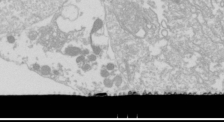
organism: Drosophila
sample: Cell division; meiosis; drosophila spermatocytes